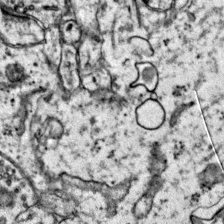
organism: Mouse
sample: Primary visual cortex